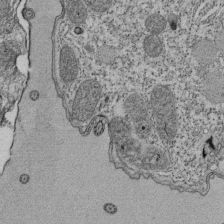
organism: Tetrahymena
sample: Cilia in tetrahymena